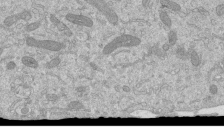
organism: Mouse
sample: ED-1 cell nuclei; centrioles